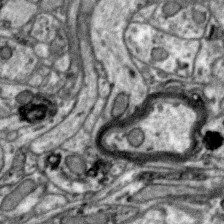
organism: Zebra finch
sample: Brain